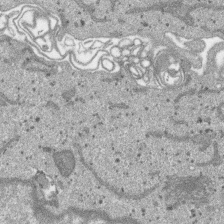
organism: Human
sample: Lung epithelial cells infected with SARS-CoV-2